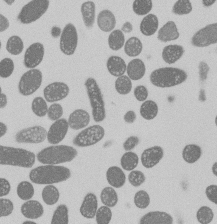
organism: E. coli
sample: Bacterial nucleoid